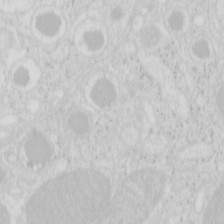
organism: Mouse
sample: Pancreas